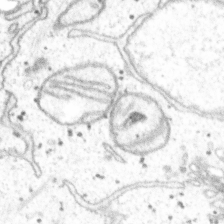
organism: Human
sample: HeLa cells